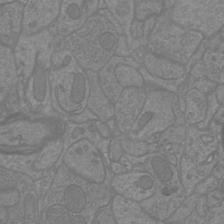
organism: Mouse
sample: Cortical neurons